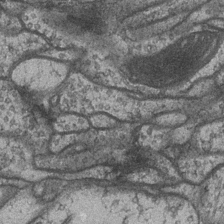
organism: Drosophila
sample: Optic medulla